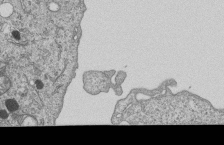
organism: Human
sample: MDA-MB-231 cells